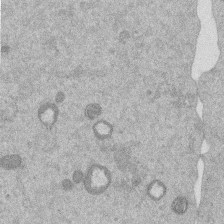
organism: Mouse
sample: Dividing mouse embryo 1 cell stage